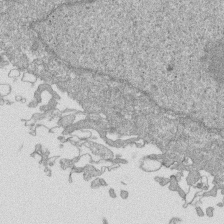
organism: Human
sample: HeLa cell HIV synapse